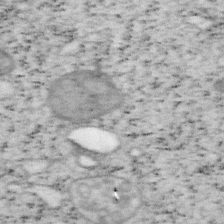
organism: Mouse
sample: OT-I killer T cells with ID8 ovarian cancer cells